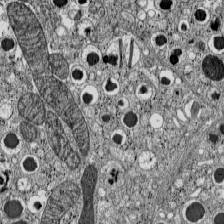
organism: C57BL Mouse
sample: Pancreatic islet